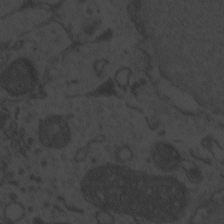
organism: Zebrafish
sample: Macrophage infected with Toxoplasma gondii